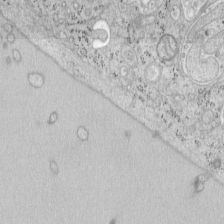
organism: Mouse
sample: OT-I killer T cells with ID8 ovarian cancer cells